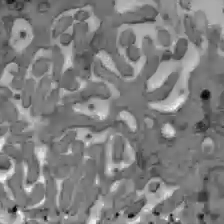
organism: C57BL Mouse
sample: Liver